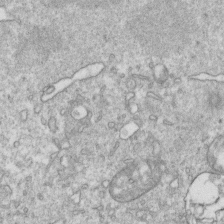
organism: Mouse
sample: Activated OT-1 CD8+ T cells